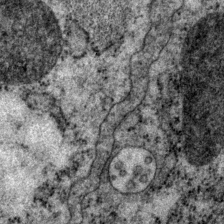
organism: P. pacificus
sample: Pharynx